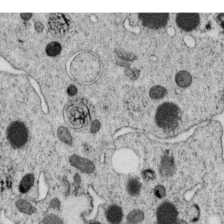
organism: C. elegans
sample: C. elegans oocyte; sperm cells